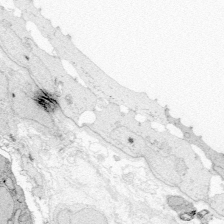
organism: Zebrafish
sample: Whole-Brain